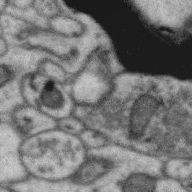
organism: Zebra finch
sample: Brain